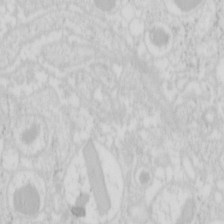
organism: Mouse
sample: Pancreas